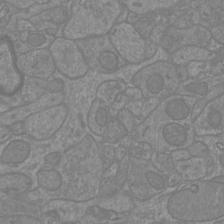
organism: Mouse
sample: Cortical neurons